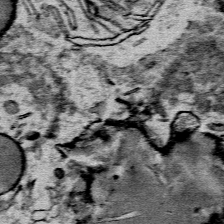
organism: Mouse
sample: Mouse Salivary gland